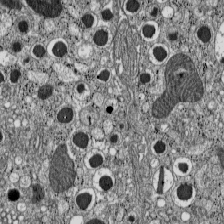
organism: C57BL Mouse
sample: Pancreatic islet